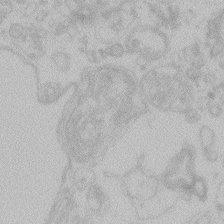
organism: Zebrafish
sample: Macrophage infected with Toxoplasma gondii